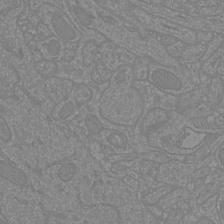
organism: Mouse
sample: Cortical neurons